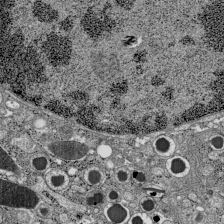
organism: C57BL Mouse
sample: Pancreatic islet